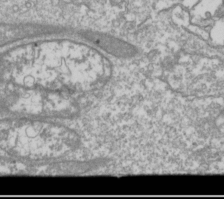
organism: Drosophila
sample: Cell division; meiosis; drosophila spermatocytes